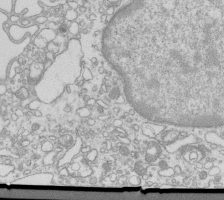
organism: Mouse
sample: Macrophages